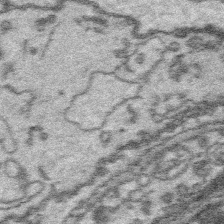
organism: Platynereis dumerilii